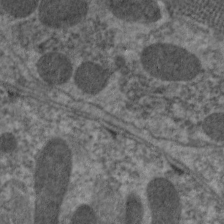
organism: C. elegans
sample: Pharynx